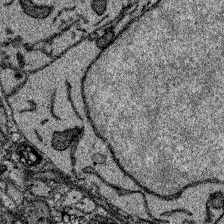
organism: Zebrafish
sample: Larval olfactory bulb